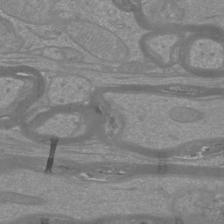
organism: Mouse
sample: Cortical neurons